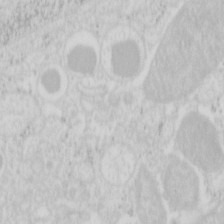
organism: Mouse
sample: Pancreas